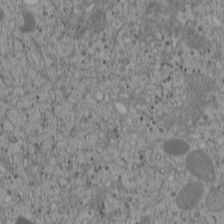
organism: African green monkey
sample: COS-7 cells